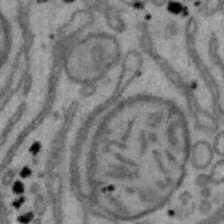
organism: Mouse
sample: Liver